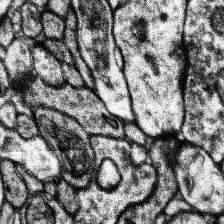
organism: Human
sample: Temporal Lobe